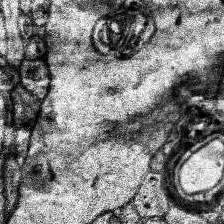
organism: Human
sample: Temporal Lobe